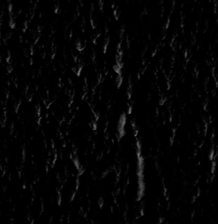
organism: Toxoplasma gondii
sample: Parasites in a vacuole inside a host cell